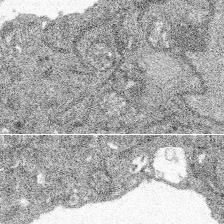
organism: Spongilla lacustris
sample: Multiple